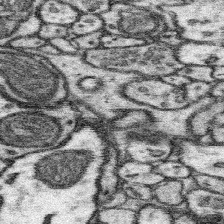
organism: Mouse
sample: Somatosensory cortex neuropil